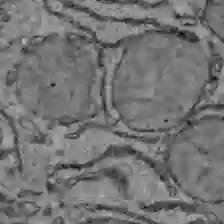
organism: C57BL Mouse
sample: Liver